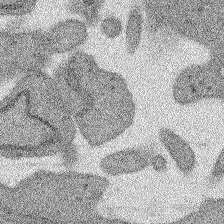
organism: Human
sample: HeLa cells